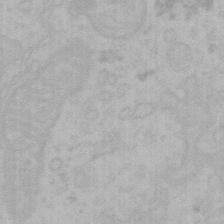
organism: Mouse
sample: Choroid plexus